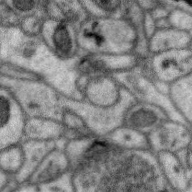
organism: Zebra finch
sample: Brain